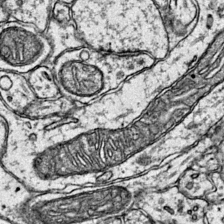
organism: Mouse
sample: Primary visual cortex